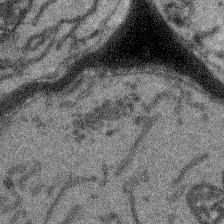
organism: Arabidopsis thaliana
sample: Root tip